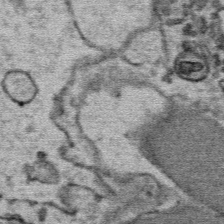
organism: Mouse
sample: Mouse Salivary gland